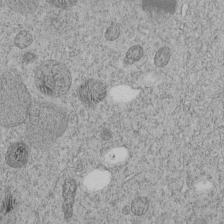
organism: C. elegans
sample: C. elegans embryo early stage